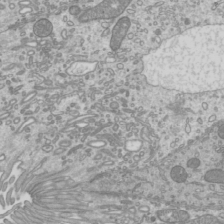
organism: Mouse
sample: Cilia; mouse epididymis